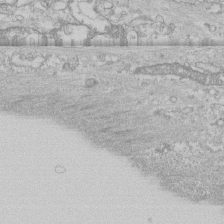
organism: Human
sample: CRL-1474